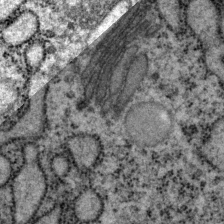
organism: P. pacificus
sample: Pharynx